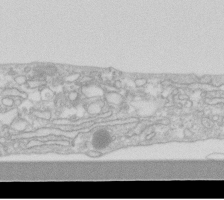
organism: Human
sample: Fibroblast cells